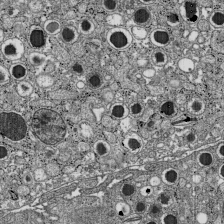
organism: C57BL Mouse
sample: Pancreatic islet